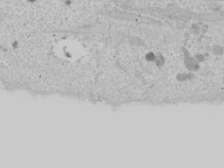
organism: Human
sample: Mitochondria in U2OS cells